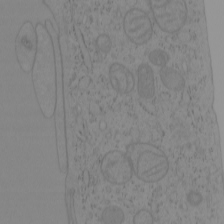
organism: Human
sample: HeLa cells